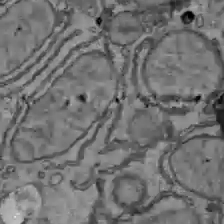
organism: C57BL Mouse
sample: Liver